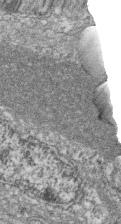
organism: Zebrafish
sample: Cilia; retinal pigment epithelium